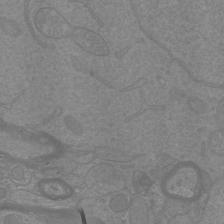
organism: Mouse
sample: Cortical neurons